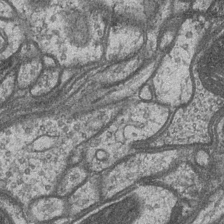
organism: Drosophila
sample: Optic medulla